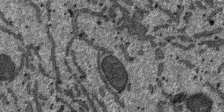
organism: Human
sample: Lung epithelial cells infected with SARS-CoV-2